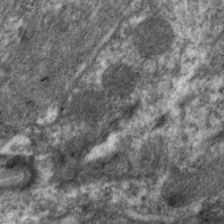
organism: C. elegans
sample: Pharynx